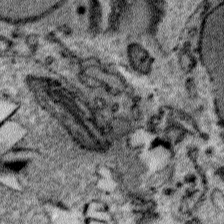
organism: Plasmodium falciparum